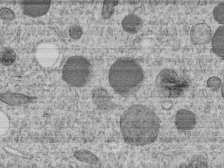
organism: C. elegans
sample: C. elegans embryo early stage